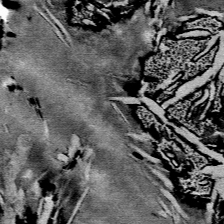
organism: Mouse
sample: Mouse Salivary gland